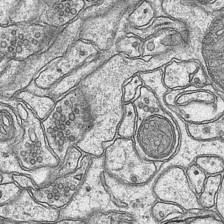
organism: Mouse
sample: CA1 Hippocampus